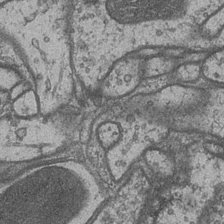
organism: Drosophila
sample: Optic medulla